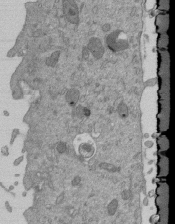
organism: Mouse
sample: ED-1 cell nuclei; centrioles